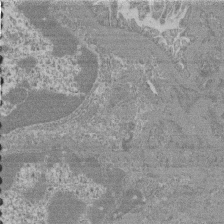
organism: Mouse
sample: Glomerulus